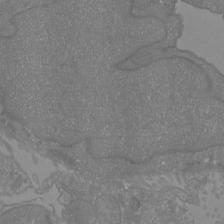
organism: Mouse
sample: Cortical neurons